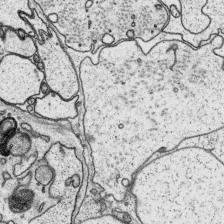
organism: Platynereis dumerilii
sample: Parapodia